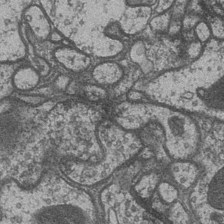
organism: Drosophila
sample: Optic medulla